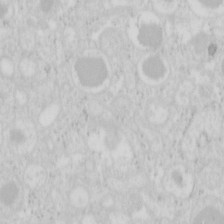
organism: Mouse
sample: Pancreas